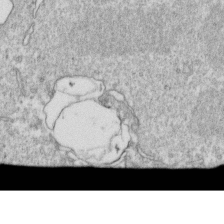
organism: Mouse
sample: Activated OT-1 CD8+ T cells